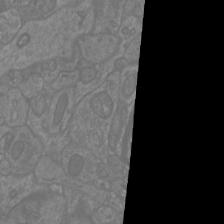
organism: Mouse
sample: Cortical neurons